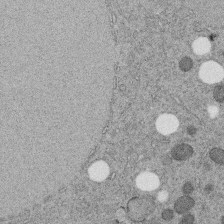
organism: C. elegans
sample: C. elegans embryo early stage